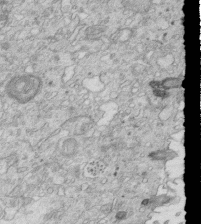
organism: Mouse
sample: Multiciliated cells